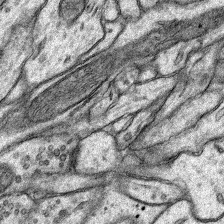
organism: Rat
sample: Hippocampus